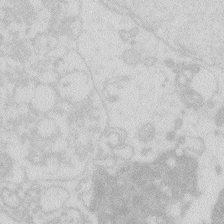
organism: Zebrafish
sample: Macrophage